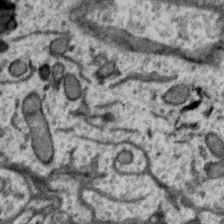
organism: Zebra finch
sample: Brain